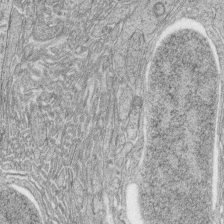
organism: Zebrafish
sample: synaptic ribbons in rod cells and cone cells